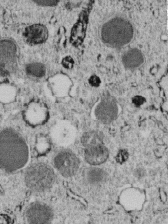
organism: C. elegans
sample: C. elegans embryo early stage